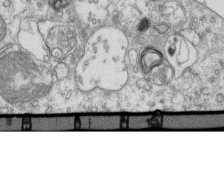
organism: Mouse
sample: Activated OT-1 CD8+ T cells